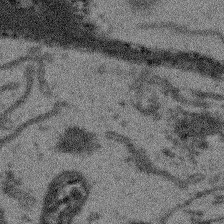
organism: Arabidopsis thaliana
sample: Root tip